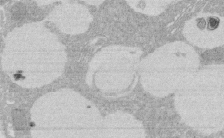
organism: Rat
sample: Salivary granule